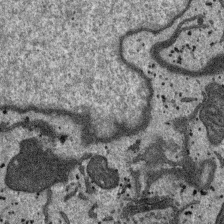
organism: Human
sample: Lung epithelial cells, uninfected (mock) control